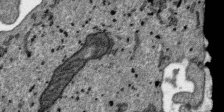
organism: Human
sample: Lung epithelial cells, uninfected (mock) control